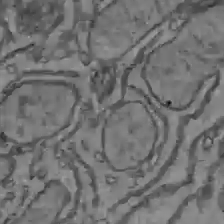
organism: C57BL Mouse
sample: Liver